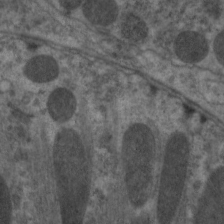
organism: C. elegans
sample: Pharynx